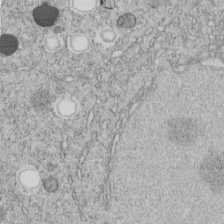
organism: C. elegans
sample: C. elegans embryo early stage